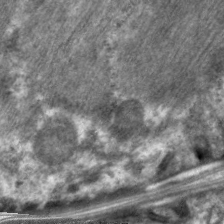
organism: C. elegans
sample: Pharynx